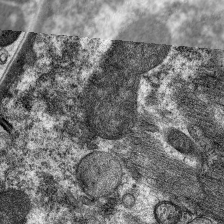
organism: C. elegans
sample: Pharynx